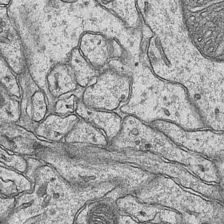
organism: Mouse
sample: CA1 Hippocampus